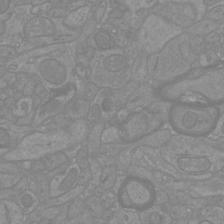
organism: Mouse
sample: Cortical neurons